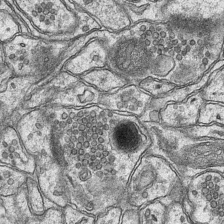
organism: Mouse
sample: CA1 Hippocampus